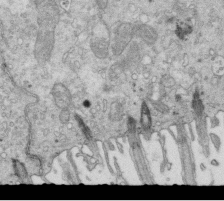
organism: Mouse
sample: Multiciliated cells